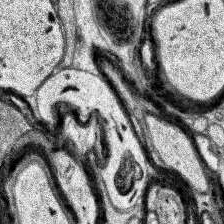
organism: Human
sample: Temporal Lobe